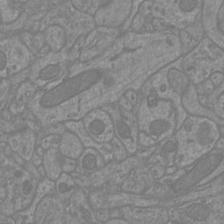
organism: Mouse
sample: Cortical neurons